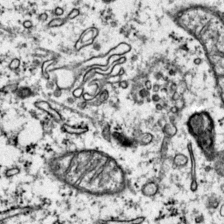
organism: Mouse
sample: Primary visual cortex